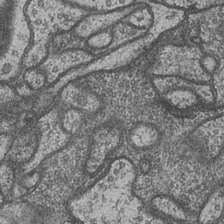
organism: Drosophila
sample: Optic medulla